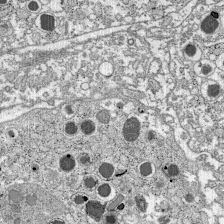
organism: C57BL Mouse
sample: Pancreatic islet